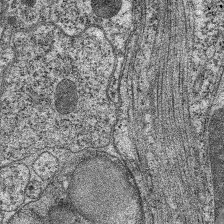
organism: C. elegans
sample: Pharynx